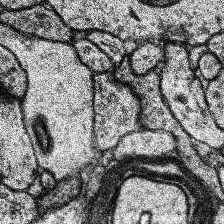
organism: Human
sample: Temporal Lobe